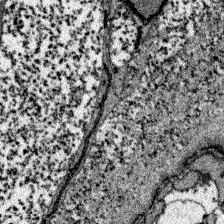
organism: Zebrafish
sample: Larval olfactory bulb